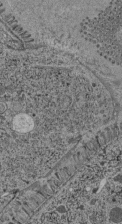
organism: C. elegans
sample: C. elegans pharynx